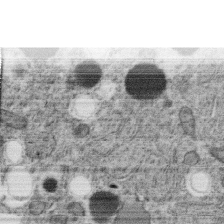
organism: C. elegans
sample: C. elegans oocyte; sperm cells